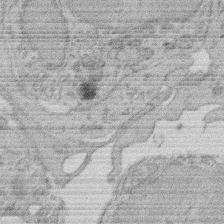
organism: Rat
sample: Salivary granule